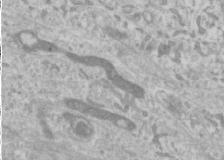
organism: Human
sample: Cilia; basal body in RPE cells